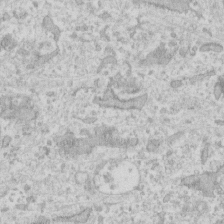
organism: Human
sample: Fibroblast cells